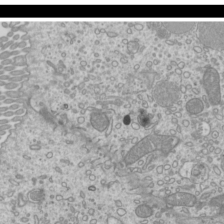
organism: Mouse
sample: Cilia; mouse epididymis